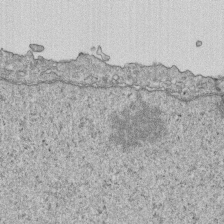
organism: Human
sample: HeLa cell HIV synapse